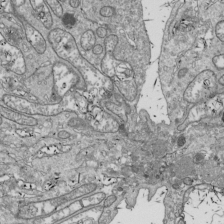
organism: Drosophila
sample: Cell division; meiosis; drosophila spermatocytes